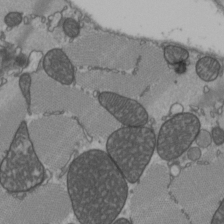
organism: C57BL Mouse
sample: Heart